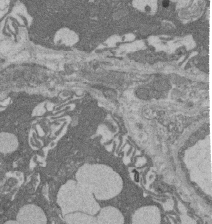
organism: Rat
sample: Salivary granule